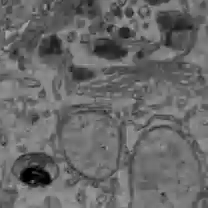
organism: C57BL Mouse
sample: Liver